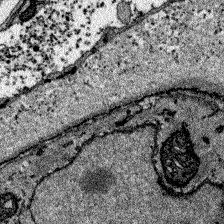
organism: Zebrafish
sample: Larval olfactory bulb